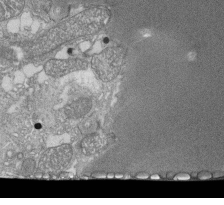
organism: Tetrahymena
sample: Cilia in tetrahymena